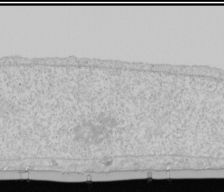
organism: Human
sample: Mitochondria in U2OS cells